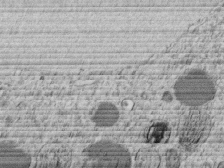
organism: C. elegans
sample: C. elegans embryo early stage